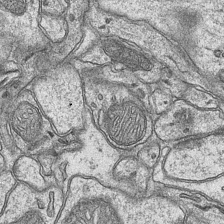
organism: Mouse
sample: CA1 Hippocampus